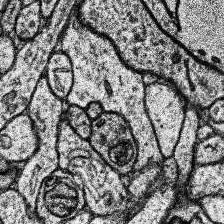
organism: Human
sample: Temporal Lobe